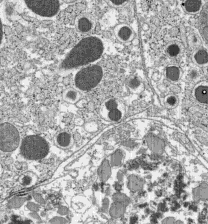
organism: C57BL Mouse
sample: Pancreatic islet